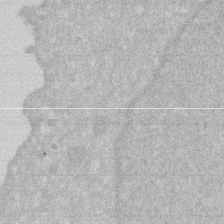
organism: Human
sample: HIV infected U937 cells